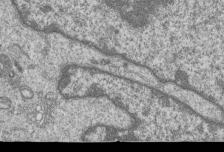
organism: Human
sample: MDA-MB-231 cells